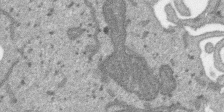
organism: Human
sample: Lung epithelial cells infected with SARS-CoV-2